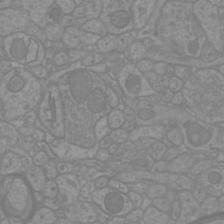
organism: Mouse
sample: Cortical neurons